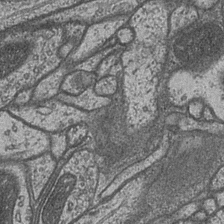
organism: Drosophila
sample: Optic medulla